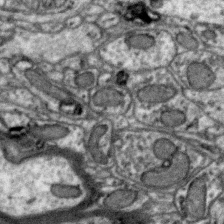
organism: Zebra finch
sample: Brain